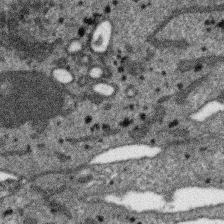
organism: Human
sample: Lung epithelial cells infected with SARS-CoV-2